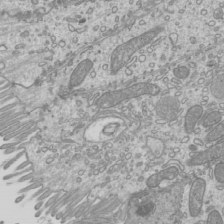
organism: Mouse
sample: Cilia; mouse epididymis